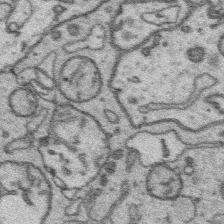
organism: Platynereis dumerilii